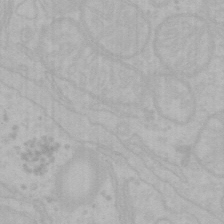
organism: Mouse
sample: Choroid plexus